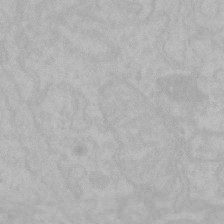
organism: Mouse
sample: Choroid plexus